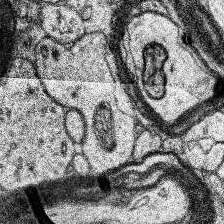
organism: Human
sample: Temporal Lobe